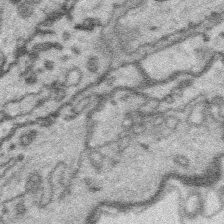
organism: Platynereis dumerilii